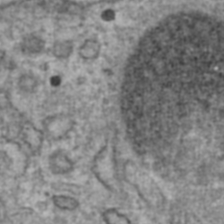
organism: Human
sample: Blood